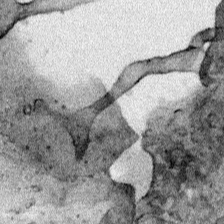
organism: Human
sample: Mitochondria in HCT116 cells